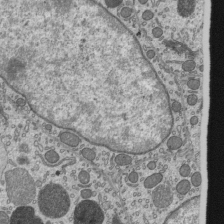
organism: Mouse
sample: Mouse epididymis efferent ductule cilia